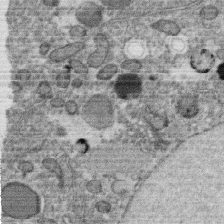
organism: C. elegans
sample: C. elegans oocyte; sperm cells